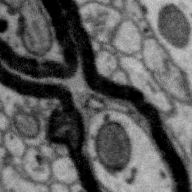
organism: Zebra finch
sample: Brain